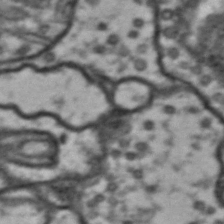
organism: Drosophila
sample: Brain